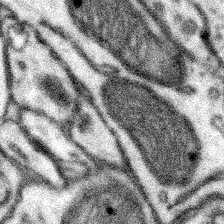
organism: Mouse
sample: Somatosensory cortex neuropil